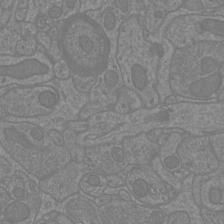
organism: Mouse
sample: Cortical neurons